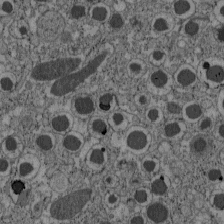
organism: C57BL Mouse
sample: Pancreatic islet